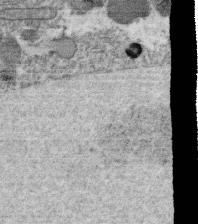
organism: C. elegans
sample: C. elegans oocyte; sperm cells